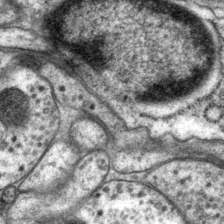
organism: P. pacificus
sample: Pharynx